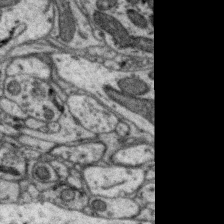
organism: Zebra finch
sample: Brain